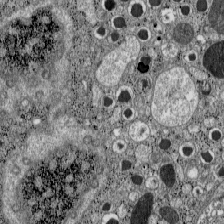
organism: C57BL Mouse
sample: Pancreatic islet